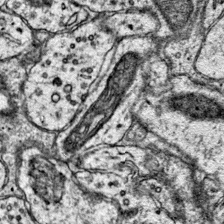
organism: Mouse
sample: Primary visual cortex